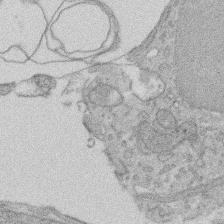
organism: Rat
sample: Salivary granule